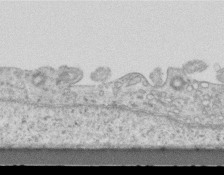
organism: Mouse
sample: Centriole in ependymal cells